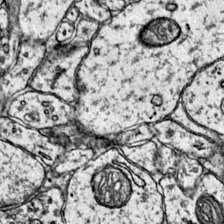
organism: Mouse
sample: Primary visual cortex